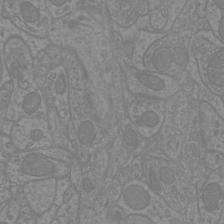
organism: Mouse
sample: Cortical neurons